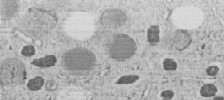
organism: C. elegans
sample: C. elegans embryo early stage